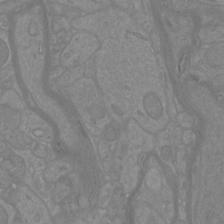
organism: Mouse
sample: Cortical neurons